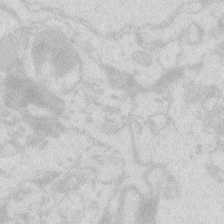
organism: Zebrafish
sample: Macrophage